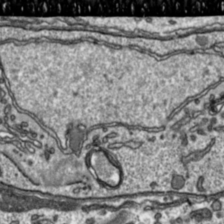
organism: Toxoplasma gondii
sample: Parasites in a vacuole inside a host cell